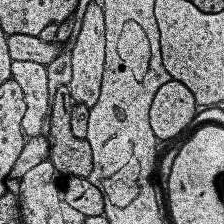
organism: Human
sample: Temporal Lobe